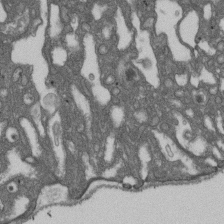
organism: Drosophila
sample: Nephrocyte